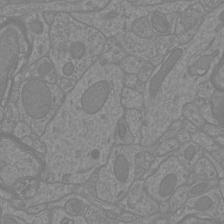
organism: Mouse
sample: Cortical neurons